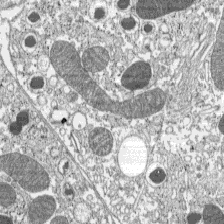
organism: C57BL Mouse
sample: Pancreatic islet